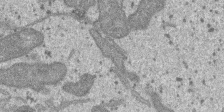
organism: Human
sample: Lung epithelial cells infected with SARS-CoV-2